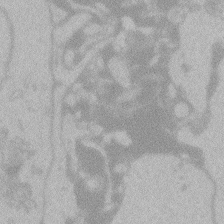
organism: Zebrafish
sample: Macrophage infected with Toxoplasma gondii